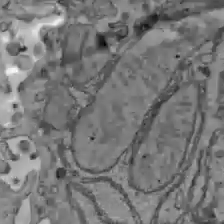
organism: C57BL Mouse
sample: Liver